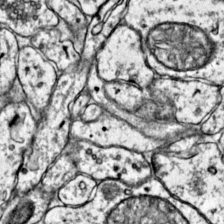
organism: Mouse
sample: Primary visual cortex